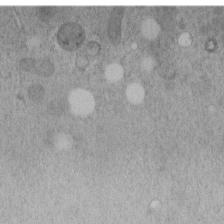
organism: C. elegans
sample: C. elegans embryo early stage